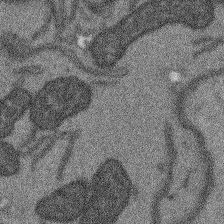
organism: Arabidopsis thaliana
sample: Root tip